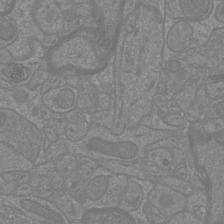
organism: Mouse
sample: Cortical neurons